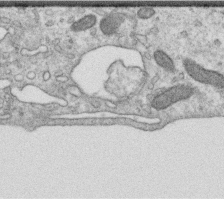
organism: Human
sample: Centriole in RPE cells